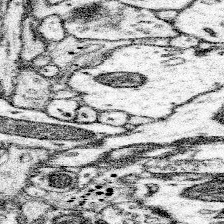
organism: Mouse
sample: Somatosensory cortex neuropil